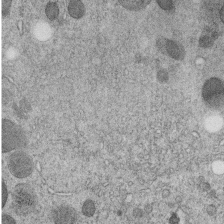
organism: C. elegans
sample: C. elegans embryo early stage